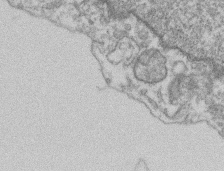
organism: Mouse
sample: T cell stromal cell synapse